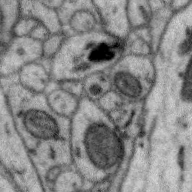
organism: Zebra finch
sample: Brain